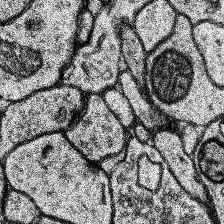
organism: Human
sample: Temporal Lobe